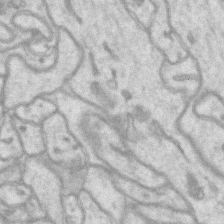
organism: Mouse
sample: CA1 Hippocampus